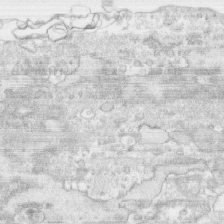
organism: Human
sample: CRL-1474